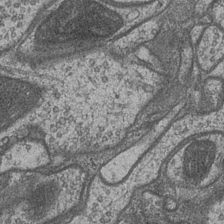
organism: Drosophila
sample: Optic medulla